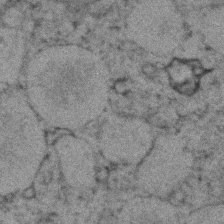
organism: Zebrafish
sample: Zebrafish embryo